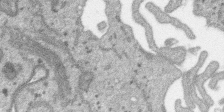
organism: Human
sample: Lung epithelial cells infected with SARS-CoV-2